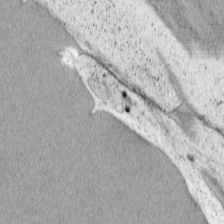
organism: African green monkey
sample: COS-7 cells